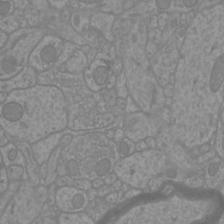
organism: Mouse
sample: Cortical neurons